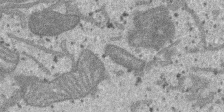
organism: Human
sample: Lung epithelial cells infected with SARS-CoV-2